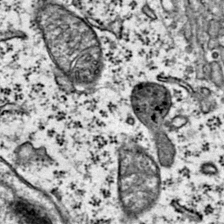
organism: Mouse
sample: Primary visual cortex